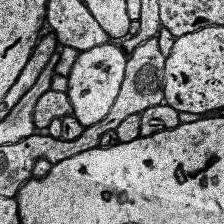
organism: Human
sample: Temporal Lobe